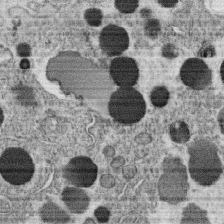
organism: C. elegans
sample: C. elegans oocyte; sperm cells